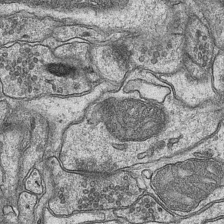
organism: Mouse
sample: CA1 Hippocampus